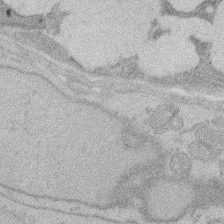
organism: Rat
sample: Salivary granule